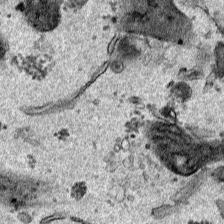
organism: Human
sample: Mitochondria in HCT116 cells